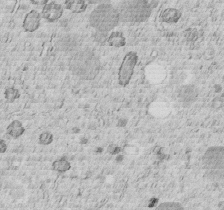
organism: C. elegans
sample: C. elegans embryo early stage